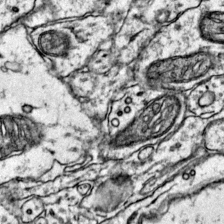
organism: Mouse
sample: Primary visual cortex